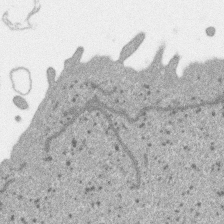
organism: Human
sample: Lung epithelial cells infected with SARS-CoV-2